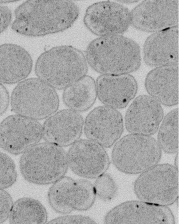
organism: E. coli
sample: Bacterial nucleoid